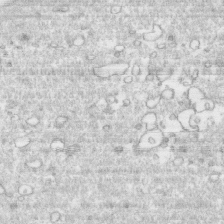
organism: Human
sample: CRL-1474